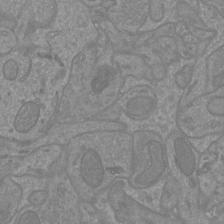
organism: Mouse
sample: Cortical neurons